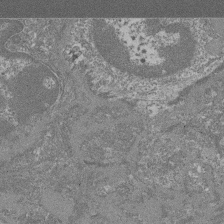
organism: Mouse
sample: Glomerulus